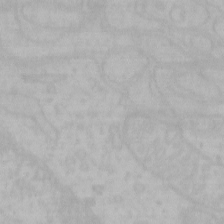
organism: Mouse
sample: Choroid plexus